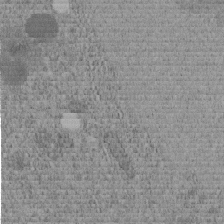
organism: C. elegans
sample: C. elegans embryo early stage